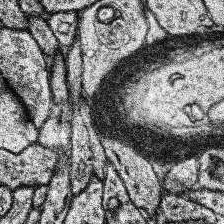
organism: Human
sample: Temporal Lobe